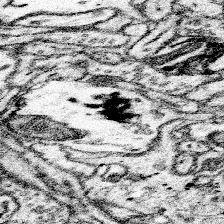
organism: Mouse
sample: Somatosensory cortex neuropil